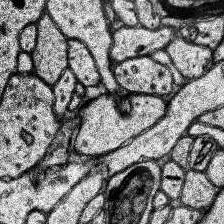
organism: Human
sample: Temporal Lobe